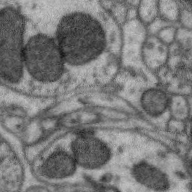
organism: Zebra finch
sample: Brain